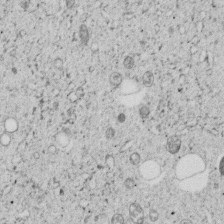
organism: C. elegans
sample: C. elegans embryo early stage